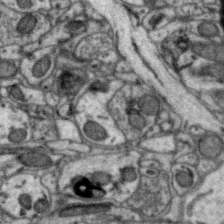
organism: Zebra finch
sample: Brain